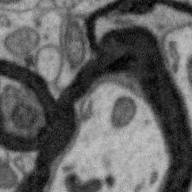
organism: Zebra finch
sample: Brain